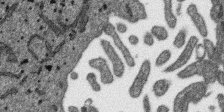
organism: Human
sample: Lung epithelial cells infected with SARS-CoV-2